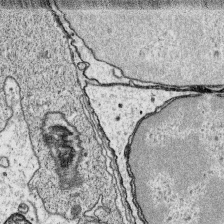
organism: Platynereis dumerilii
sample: Parapodia